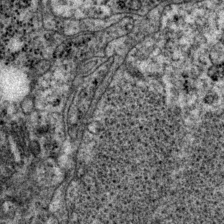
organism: P. pacificus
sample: Pharynx